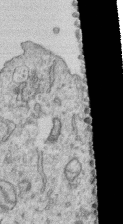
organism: Human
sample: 1205lu cells